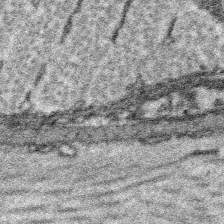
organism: Platynereis dumerilii